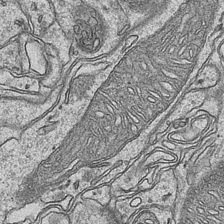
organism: Mouse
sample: CA1 Hippocampus